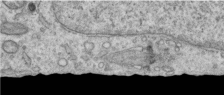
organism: Human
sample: Centriole in RPE cells